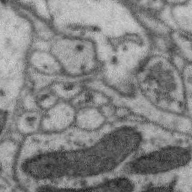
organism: Zebra finch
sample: Brain